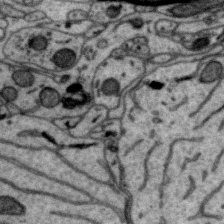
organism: Zebra finch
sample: Brain